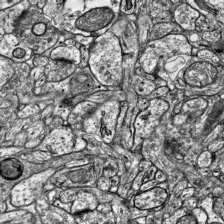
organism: Mouse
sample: Visual Cortex